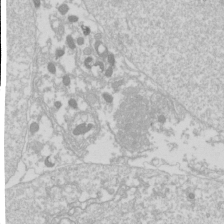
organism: Drosophila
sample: Cell division; meiosis; drosophila spermatocytes